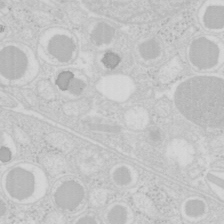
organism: Mouse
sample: Pancreas